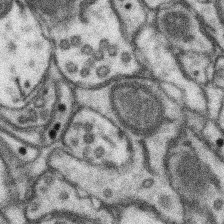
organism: Mouse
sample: Somatosensory cortex neuropil